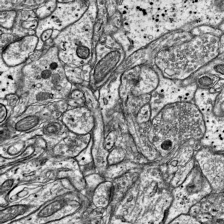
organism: Mouse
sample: Visual Cortex